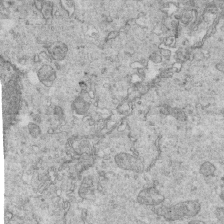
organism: Mouse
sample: Multiciliated cells